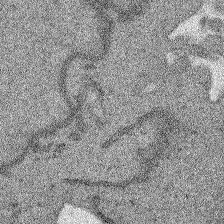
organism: Human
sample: HeLa cells